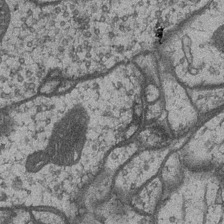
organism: Drosophila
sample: Optic medulla